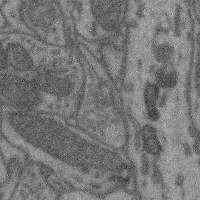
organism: Mouse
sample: Cerebral cortex